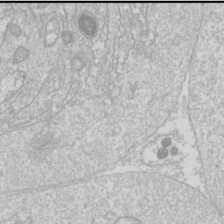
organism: Drosophila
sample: Cell division; meiosis; drosophila spermatocytes